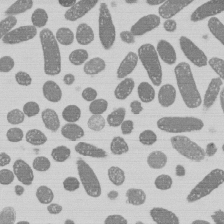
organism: E. coli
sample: Bacterial nucleoid